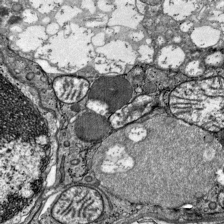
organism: Mouse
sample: Visual Cortex